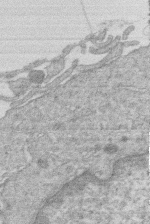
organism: Human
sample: Macrophage cells